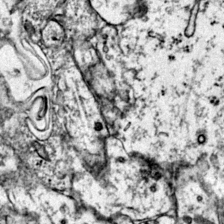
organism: Mouse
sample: Primary visual cortex